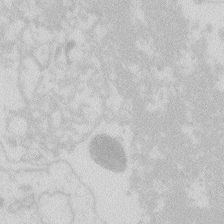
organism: Zebrafish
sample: Macrophage